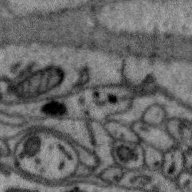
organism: Zebra finch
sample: Brain